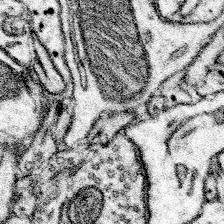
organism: Mouse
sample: Somatosensory cortex neuropil